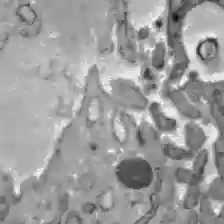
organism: C57BL Mouse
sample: Liver